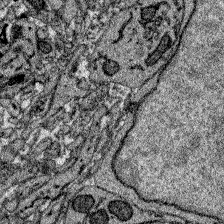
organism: Zebrafish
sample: Larval olfactory bulb